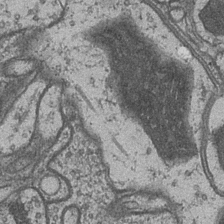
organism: Drosophila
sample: Optic medulla